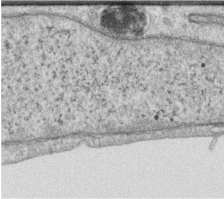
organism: Human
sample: Centriole in RPE cells